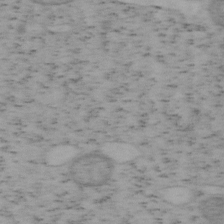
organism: Mouse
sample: OT-I killer T cells with ID8 ovarian cancer cells